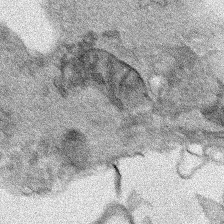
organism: Human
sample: Mitochondria in HCT116 cells